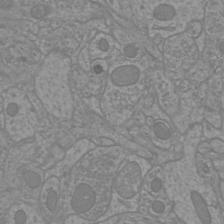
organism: Mouse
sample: Cortical neurons